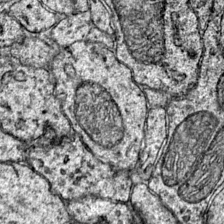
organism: Mouse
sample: Primary visual cortex